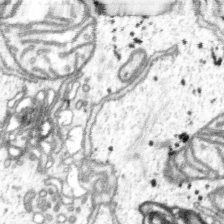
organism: Human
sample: HeLa cells